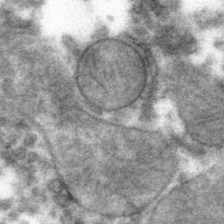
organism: Mouse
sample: Mouse hepatocytes